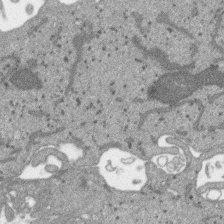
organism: Human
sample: Lung epithelial cells infected with SARS-CoV-2